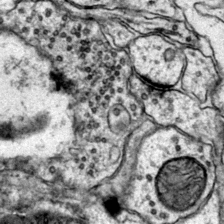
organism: Mouse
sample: Primary visual cortex